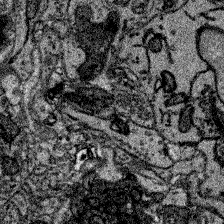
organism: Zebrafish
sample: Larval olfactory bulb